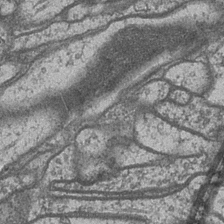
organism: Drosophila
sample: Optic medulla